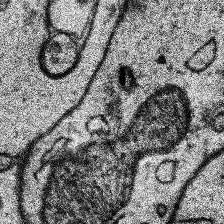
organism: Human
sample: Temporal Lobe